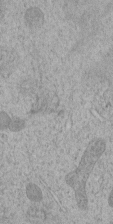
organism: C. elegans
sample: C. elegans embryo early stage